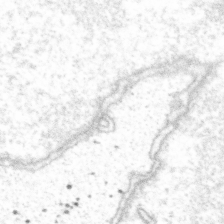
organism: Human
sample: HeLa cells